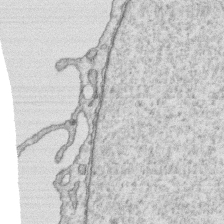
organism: Human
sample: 1205lu cells